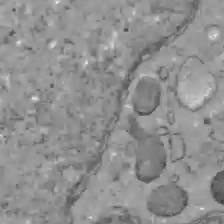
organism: C57BL Mouse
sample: Liver